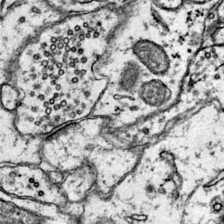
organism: Mouse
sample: Primary visual cortex